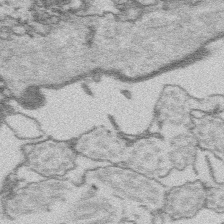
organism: Platynereis dumerilii